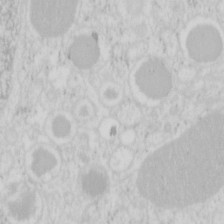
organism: Mouse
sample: Pancreas